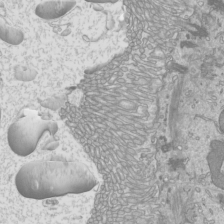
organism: Mouse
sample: Cilia; mouse epididymis